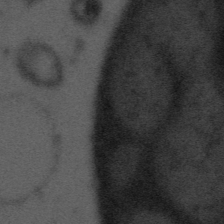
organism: Tuwongella immobilis